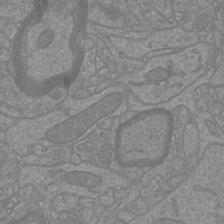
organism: Mouse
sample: Cortical neurons